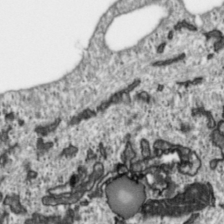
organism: Toxoplasma gondii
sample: Parasites in a vacuole inside a host cell